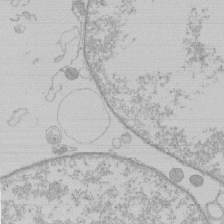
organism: Human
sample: Macrophage cells